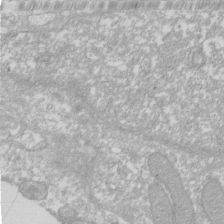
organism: Xenopus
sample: Cilia; centrioles in frog embryo cells